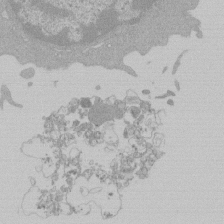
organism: Mouse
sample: Activated Pmel transgenic CD8+ T Cells